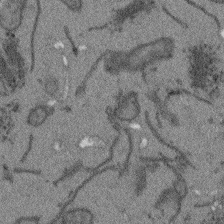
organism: Arabidopsis thaliana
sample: Root tip